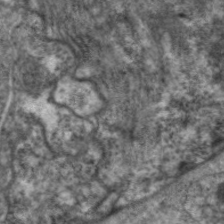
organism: C. elegans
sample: Pharynx